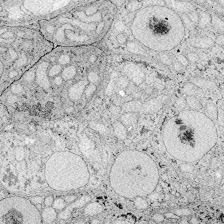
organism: Zebrafish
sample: Whole-Brain